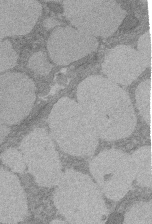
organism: Rat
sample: Salivary granule